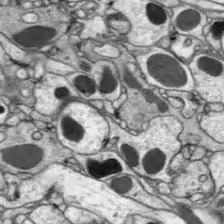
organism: Drosophila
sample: Optic lobe